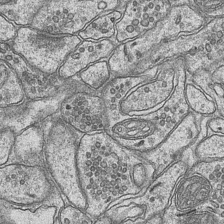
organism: Mouse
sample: CA1 Hippocampus